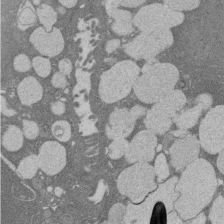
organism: Rat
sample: Salivary granule